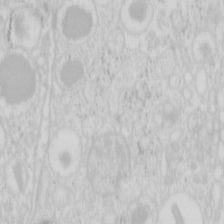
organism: Mouse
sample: Pancreas